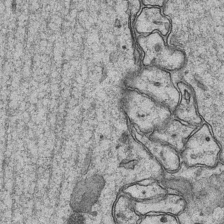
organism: Mouse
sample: CA1 Hippocampus